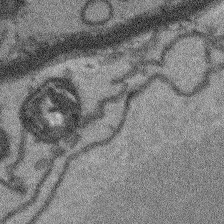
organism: Arabidopsis thaliana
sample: Root tip